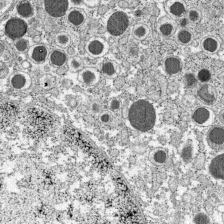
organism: C57BL Mouse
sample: Pancreatic islet